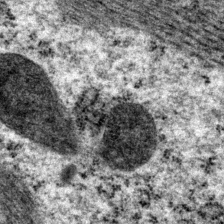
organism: P. pacificus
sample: Pharynx